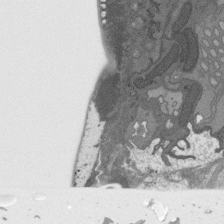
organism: C. elegans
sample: AFD neurons C. elegans